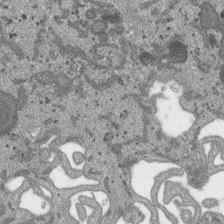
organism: Human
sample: Lung epithelial cells infected with SARS-CoV-2